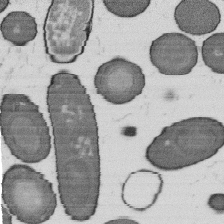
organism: B. subtilis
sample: Bacterial spore